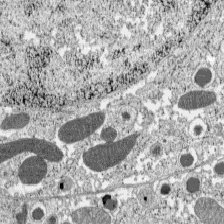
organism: C57BL Mouse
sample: Pancreatic islet